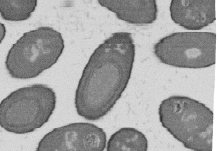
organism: B. subtilis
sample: Bacterial spore